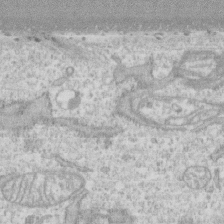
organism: Human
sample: CRL-1474